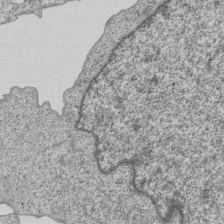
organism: Human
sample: MDA-MB-231 cells